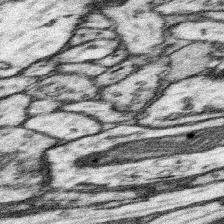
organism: Mouse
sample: Somatosensory cortex neuropil